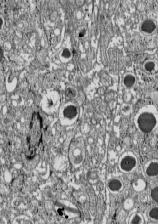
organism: C57BL Mouse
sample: Pancreatic islet